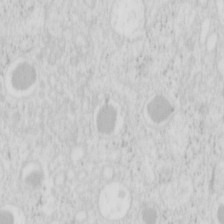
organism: Mouse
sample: Pancreas